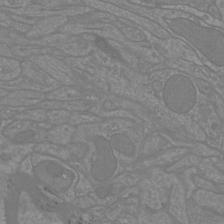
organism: Mouse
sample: Cortical neurons